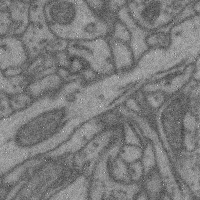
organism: Mouse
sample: Cerebral cortex